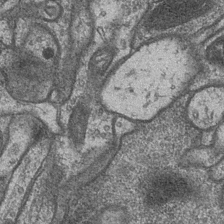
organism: Drosophila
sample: Optic medulla